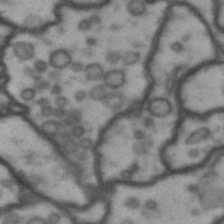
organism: Drosophila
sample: Brain